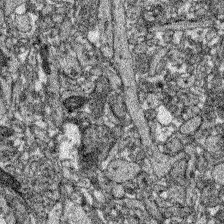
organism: Zebrafish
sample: Larval olfactory bulb